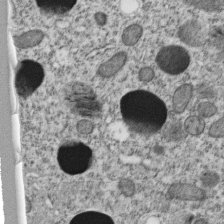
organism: C. elegans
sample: C. elegans embryo early stage